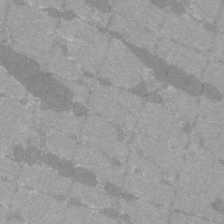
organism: C57BL Mouse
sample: Tibialis anterior muscle cell